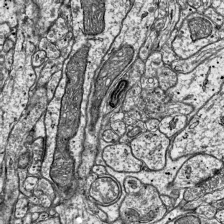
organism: Mouse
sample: Visual Cortex